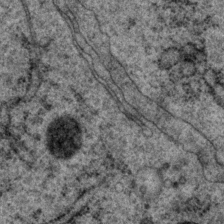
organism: P. pacificus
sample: Pharynx